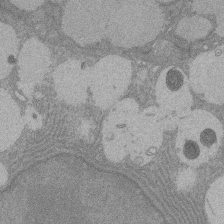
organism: Rat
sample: Salivary granule